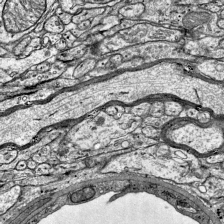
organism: Mouse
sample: Visual Cortex